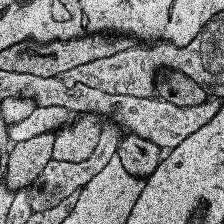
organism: Human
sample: Temporal Lobe